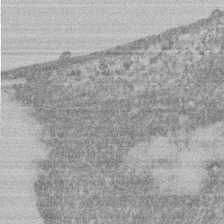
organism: Mouse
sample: T cell stromal cell synapse